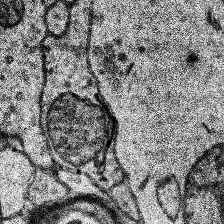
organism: Human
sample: Temporal Lobe